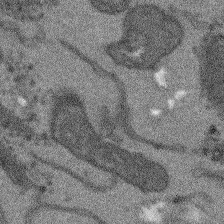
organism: Arabidopsis thaliana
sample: Root tip